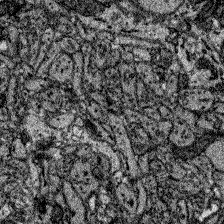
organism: Zebrafish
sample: Larval olfactory bulb